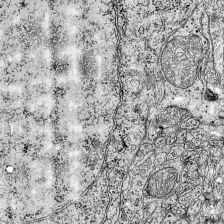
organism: Mouse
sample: Visual Cortex